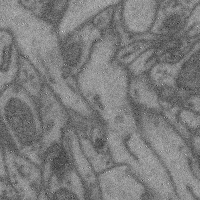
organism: Mouse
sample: Cerebral cortex